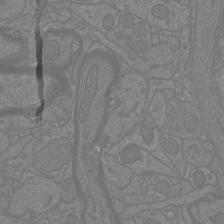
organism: Mouse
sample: Cortical neurons